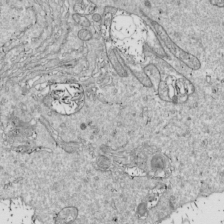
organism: Drosophila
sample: Cell division; meiosis; drosophila spermatocytes